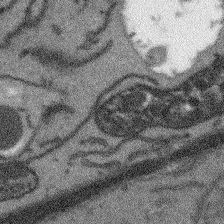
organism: Arabidopsis thaliana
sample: Root tip